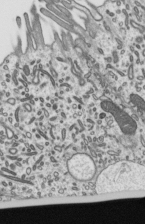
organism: Mouse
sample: Mouse epididymis efferent ductule cilia